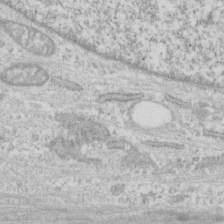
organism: Human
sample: CRL-1474